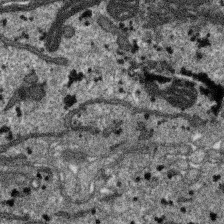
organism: Human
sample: Lung epithelial cells infected with SARS-CoV-2